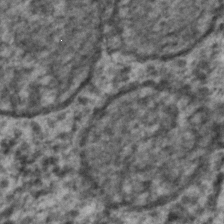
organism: C. elegans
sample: C. elegans embryo